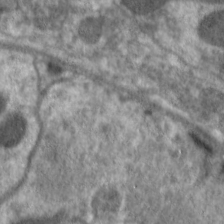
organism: C. elegans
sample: Pharynx